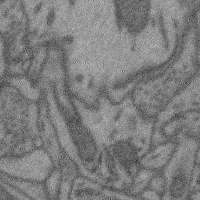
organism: Mouse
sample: Cerebral cortex